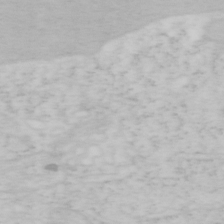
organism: Mouse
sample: OT-I killer T cells with ID8 ovarian cancer cells